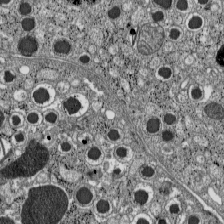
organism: C57BL Mouse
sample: Pancreatic islet